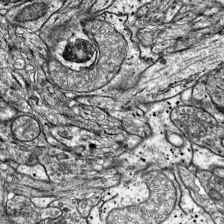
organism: Mouse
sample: Visual Cortex